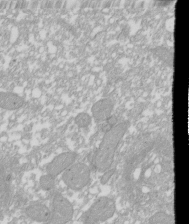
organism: Xenopus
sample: Cilia; centrioles in frog embryo cells